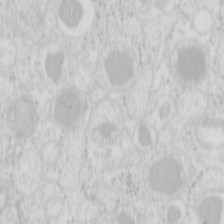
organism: Mouse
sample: Pancreas